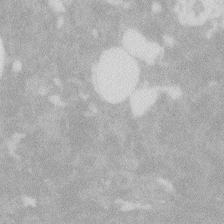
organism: Zebrafish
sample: Macrophage